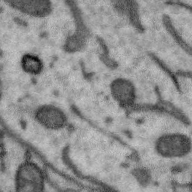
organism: Zebra finch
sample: Brain